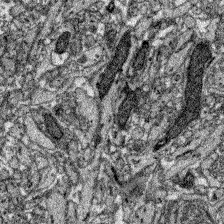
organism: Zebrafish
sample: Larval olfactory bulb